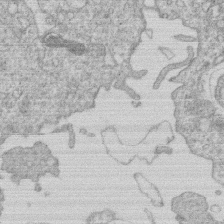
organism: Human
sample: Macrophage cells